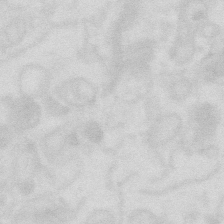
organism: Human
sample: HeLa cells